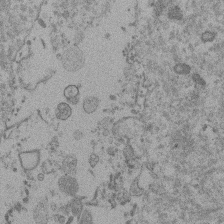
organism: Mouse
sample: Dividing mouse embryo 1 cell stage